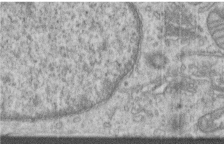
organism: Human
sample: Centriole in RPE cells